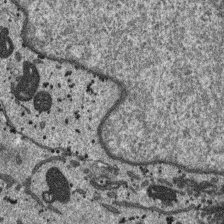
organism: Human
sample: Lung epithelial cells infected with SARS-CoV-2